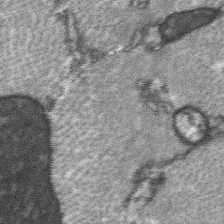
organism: C57BL Mouse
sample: Soleus